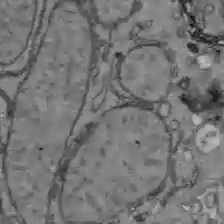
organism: C57BL Mouse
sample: Liver